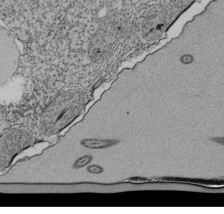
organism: Tetrahymena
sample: Cilia in tetrahymena